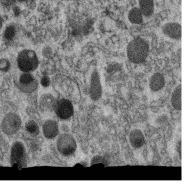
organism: C. elegans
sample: C. elegans oocyte; sperm cells